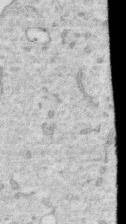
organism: Human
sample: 1205lu cells